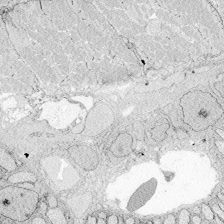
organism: Zebrafish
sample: Whole-Brain